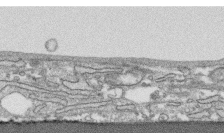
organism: Human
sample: CRL-1474